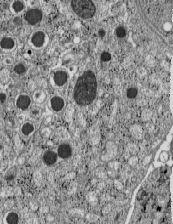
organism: C57BL Mouse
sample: Pancreatic islet